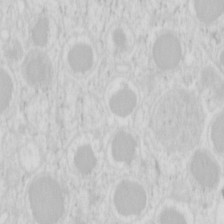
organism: Mouse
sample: Pancreas